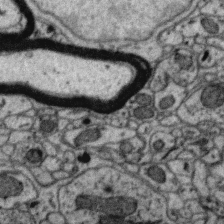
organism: Zebra finch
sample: Brain